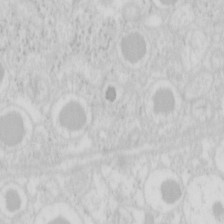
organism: Mouse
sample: Pancreas